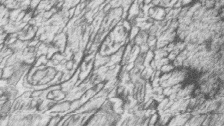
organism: Zebrafish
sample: synaptic ribbons in rod cells and cone cells